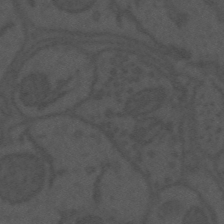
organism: Mouse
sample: Suprachiasmatic nucleus